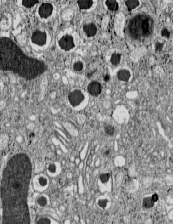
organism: C57BL Mouse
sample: Pancreatic islet